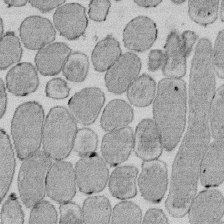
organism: E. coli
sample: Bacterial nucleoid